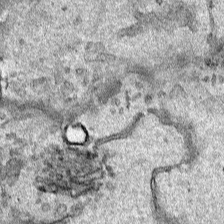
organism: Human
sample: Mitochondria in HCT116 cells